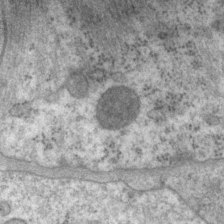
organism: P. pacificus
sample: Pharynx